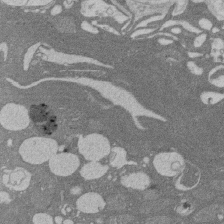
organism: Rat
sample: Salivary granule